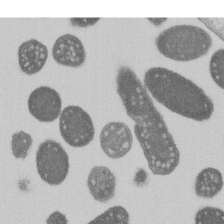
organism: E. coli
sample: Bacterial nucleoid